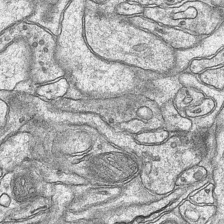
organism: Mouse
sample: CA1 Hippocampus